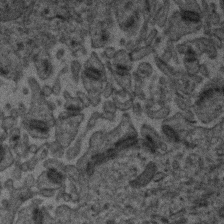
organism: Human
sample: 1205lu cells